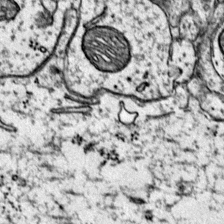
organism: Mouse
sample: Primary visual cortex